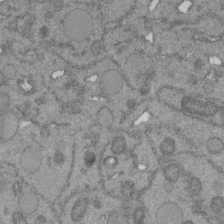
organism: C. elegans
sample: C. elegans embryo early stage